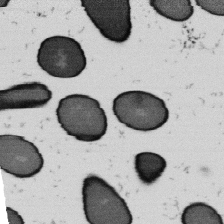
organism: B. subtilis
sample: Bacterial spore